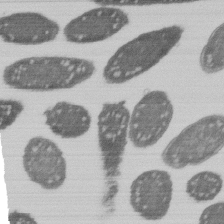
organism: E. coli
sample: Bacterial nucleoid